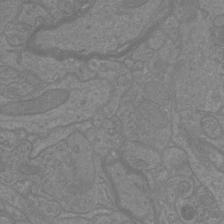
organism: Mouse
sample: Cortical neurons